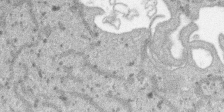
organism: Human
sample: Lung epithelial cells infected with SARS-CoV-2